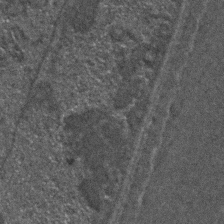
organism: C. elegans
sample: C. elegans embryo